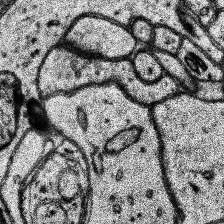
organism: Human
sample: Temporal Lobe